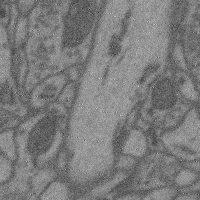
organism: Mouse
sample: Cerebral cortex